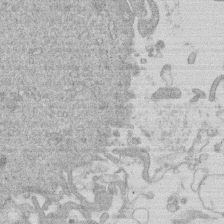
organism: Human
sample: Macrophage cells